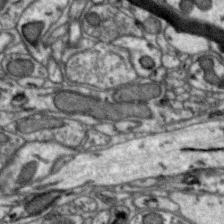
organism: Zebra finch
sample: Brain